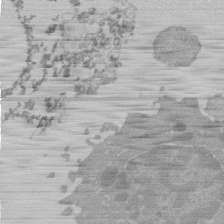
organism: Mouse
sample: Activated Pmel transgenic CD8+ T Cells